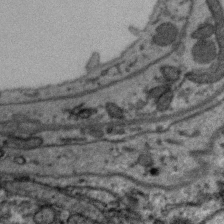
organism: Zebra finch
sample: Brain